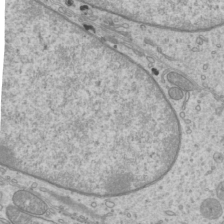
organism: Mouse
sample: Cilia; mouse epididymis